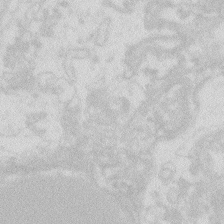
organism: Zebrafish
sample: Macrophage